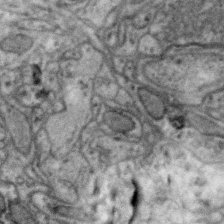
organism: Zebra finch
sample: Brain